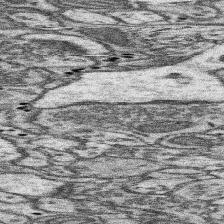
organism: Mouse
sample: Somatosensory cortex neuropil